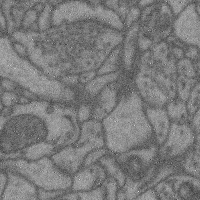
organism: Mouse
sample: Cerebral cortex